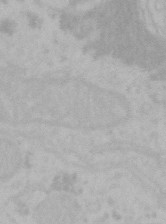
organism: Mouse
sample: Choroid plexus